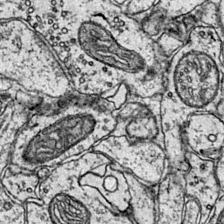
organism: Mouse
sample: Primary visual cortex